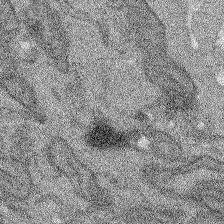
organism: Human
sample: HeLa cells